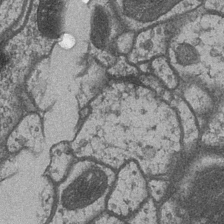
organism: Drosophila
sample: Optic medulla